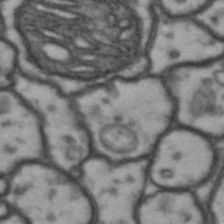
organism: Drosophila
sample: Brain